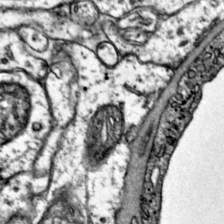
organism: Mouse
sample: Primary visual cortex